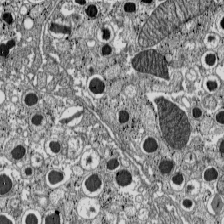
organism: C57BL Mouse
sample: Pancreatic islet